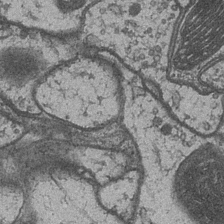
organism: Drosophila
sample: Optic medulla